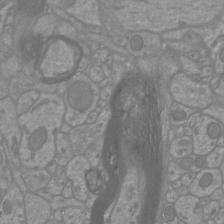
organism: Mouse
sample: Cortical neurons